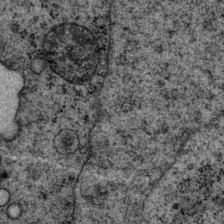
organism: P. pacificus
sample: Pharynx